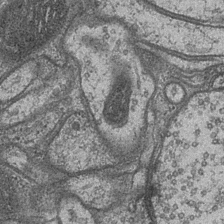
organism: Drosophila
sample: Optic medulla